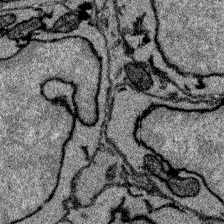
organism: Zebrafish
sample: Larval olfactory bulb